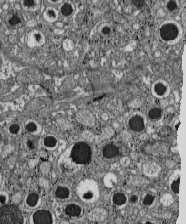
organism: C57BL Mouse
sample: Pancreatic islet